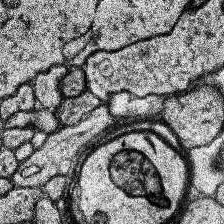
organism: Human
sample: Temporal Lobe